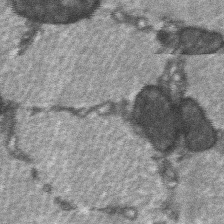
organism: C57BL Mouse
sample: Soleus